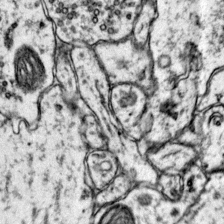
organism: Mouse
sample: Primary visual cortex